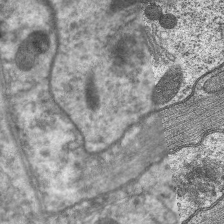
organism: C. elegans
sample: Pharynx